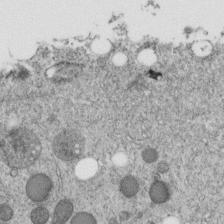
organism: C. elegans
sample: C. elegans embryo early stage